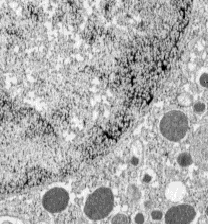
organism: C57BL Mouse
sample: Pancreatic islet